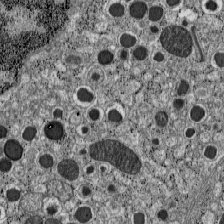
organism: C57BL Mouse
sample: Pancreatic islet